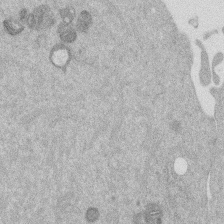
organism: Mouse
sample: Dividing mouse embryo 1 cell stage